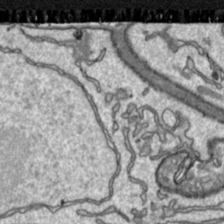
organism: Toxoplasma gondii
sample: Parasites in a vacuole inside a host cell